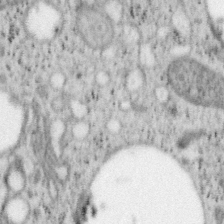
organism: Mouse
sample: OT-I killer T cells with ID8 ovarian cancer cells